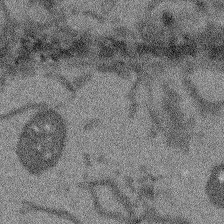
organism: Arabidopsis thaliana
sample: Root tip